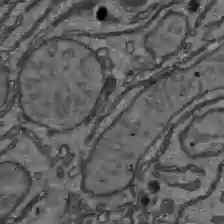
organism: C57BL Mouse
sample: Liver